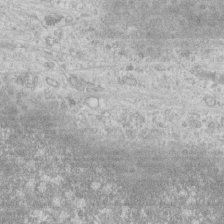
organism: Human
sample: CRL-1474